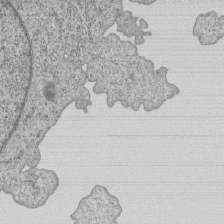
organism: Human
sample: MDA-MB-231 cells